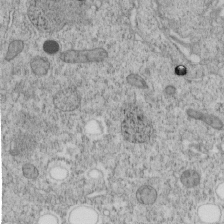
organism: C. elegans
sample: C. elegans embryo early stage